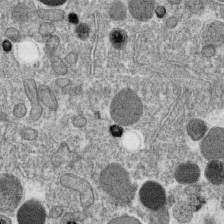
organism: C. elegans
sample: C. elegans oocyte; sperm cells